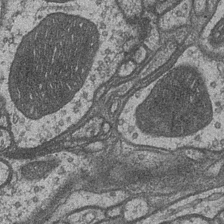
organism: Drosophila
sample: Optic medulla